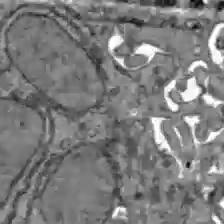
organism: C57BL Mouse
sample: Liver